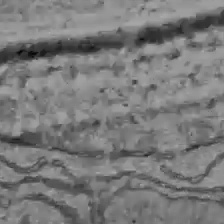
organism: C57BL Mouse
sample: Liver